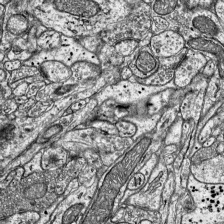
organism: Mouse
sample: Visual Cortex